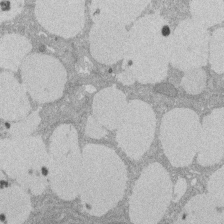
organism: Rat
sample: Salivary granule